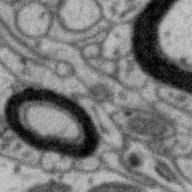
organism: Zebra finch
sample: Brain